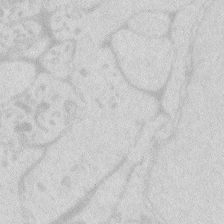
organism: Zebrafish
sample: Macrophage